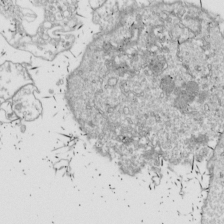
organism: Drosophila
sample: Cell division; meiosis; drosophila spermatocytes